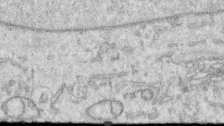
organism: Human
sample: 1205lu cells